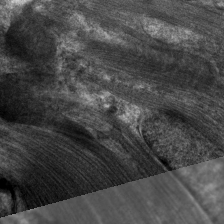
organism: C. elegans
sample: Pharynx